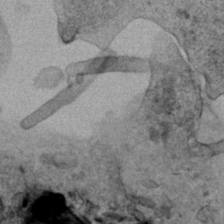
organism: Human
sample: Mitochondria in HCT116 cells